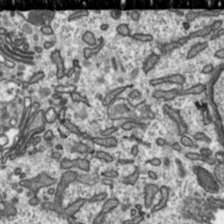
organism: Toxoplasma gondii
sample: Parasites in a vacuole inside a host cell